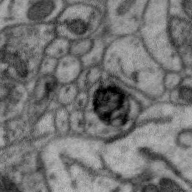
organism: Zebra finch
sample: Brain